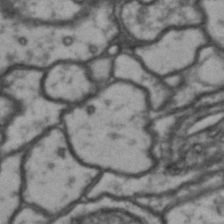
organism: Drosophila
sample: Brain